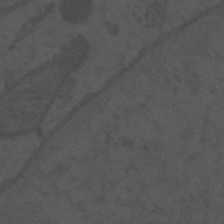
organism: Mouse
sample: Suprachiasmatic nucleus